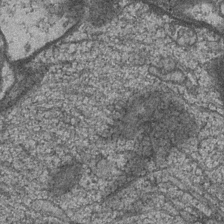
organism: Drosophila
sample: Optic medulla